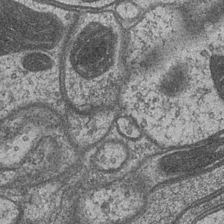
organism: Drosophila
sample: Optic medulla